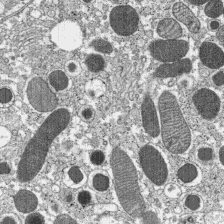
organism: C57BL Mouse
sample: Pancreatic islet